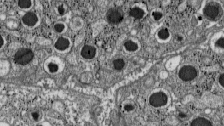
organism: C57BL Mouse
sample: Pancreatic islet